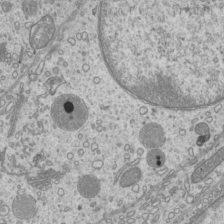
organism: Mouse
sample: Cilia; mouse epididymis